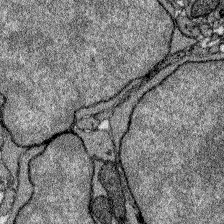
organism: Zebrafish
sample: Larval olfactory bulb